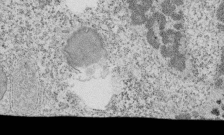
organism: Tetrahymena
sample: Cilia in tetrahymena